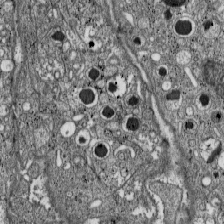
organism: C57BL Mouse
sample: Pancreatic islet